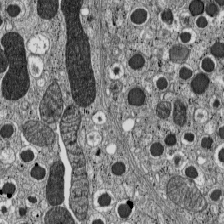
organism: C57BL Mouse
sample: Pancreatic islet